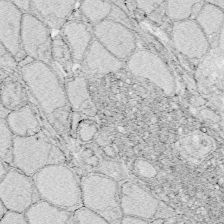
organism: Zebrafish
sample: Whole-Brain